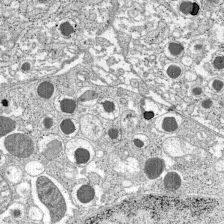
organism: C57BL Mouse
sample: Pancreatic islet